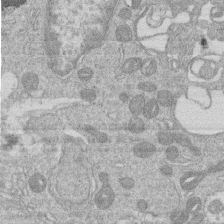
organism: Human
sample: Macrophage cells